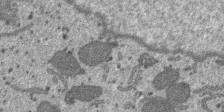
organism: Human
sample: Lung epithelial cells infected with SARS-CoV-2